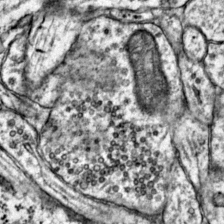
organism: Mouse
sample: Primary visual cortex